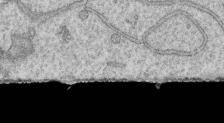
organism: Human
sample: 1205lu cells